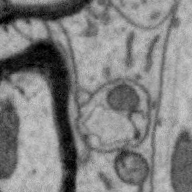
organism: Zebra finch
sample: Brain